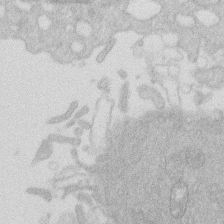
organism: Human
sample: Macrophage cells